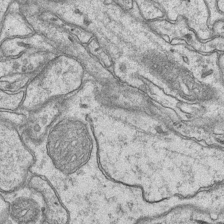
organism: Mouse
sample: CA1 Hippocampus